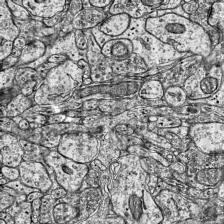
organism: Mouse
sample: Visual Cortex